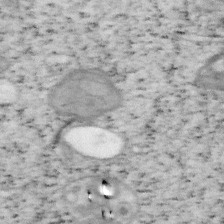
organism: Mouse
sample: OT-I killer T cells with ID8 ovarian cancer cells